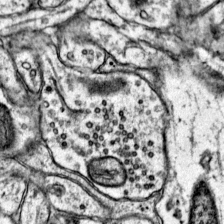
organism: Mouse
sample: Primary visual cortex